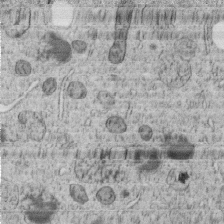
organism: C. elegans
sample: C. elegans embryo early stage